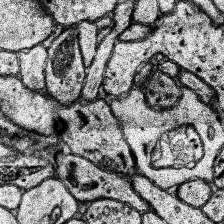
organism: Human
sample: Temporal Lobe